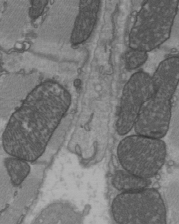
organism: C57BL Mouse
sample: Heart